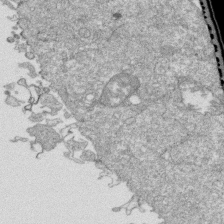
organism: Human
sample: HeLa cell HIV synapse